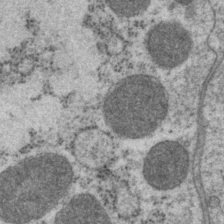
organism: P. pacificus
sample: Pharynx